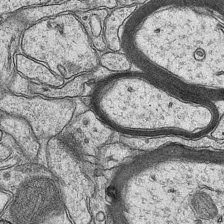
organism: Mouse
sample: CA1 Hippocampus